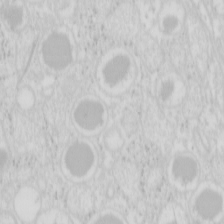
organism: Mouse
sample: Pancreas